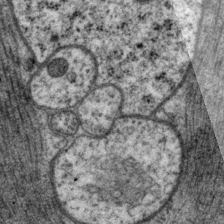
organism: P. pacificus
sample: Pharynx